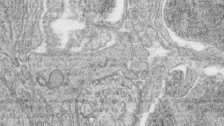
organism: Zebrafish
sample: synaptic ribbons in rod cells and cone cells